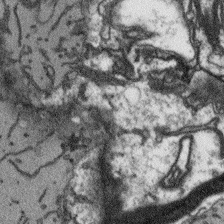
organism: Arabidopsis thaliana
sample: Root tip